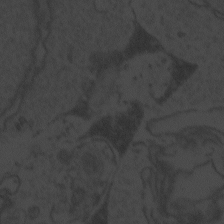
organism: Zebrafish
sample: Macrophage infected with Toxoplasma gondii